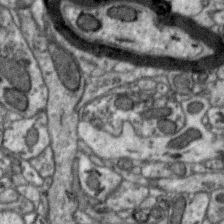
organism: Zebra finch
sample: Brain